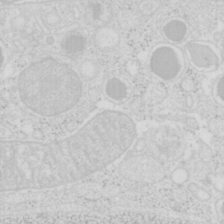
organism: Mouse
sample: Pancreas